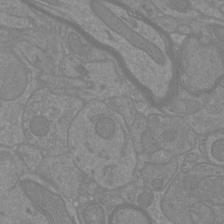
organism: Mouse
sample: Cortical neurons